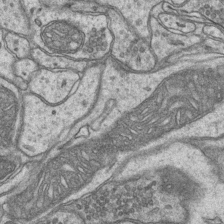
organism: Mouse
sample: CA1 Hippocampus